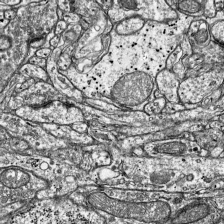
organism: Mouse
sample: Visual Cortex